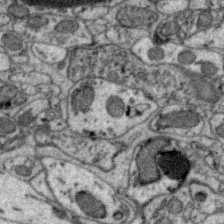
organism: Zebra finch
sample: Brain